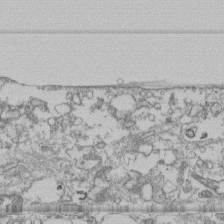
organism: Human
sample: Fibroblast cells